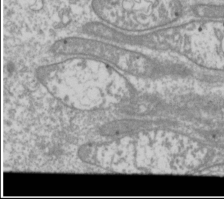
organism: Drosophila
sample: Cell division; meiosis; drosophila spermatocytes